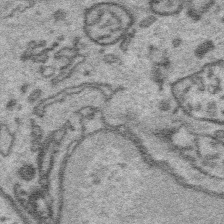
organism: Platynereis dumerilii